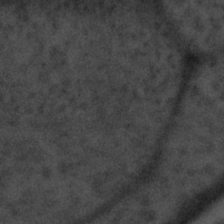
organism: Tuwongella immobilis